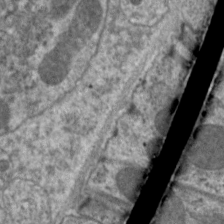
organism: C. elegans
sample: Pharynx